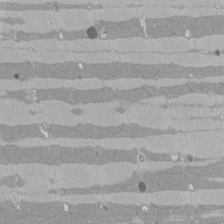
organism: Rat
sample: Left ventricle